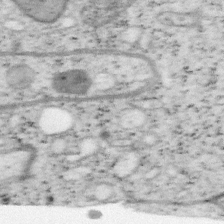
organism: Mouse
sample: OT-I killer T cells with ID8 ovarian cancer cells